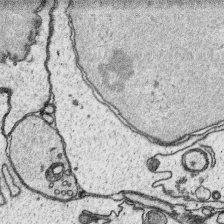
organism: Platynereis dumerilii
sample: Parapodia